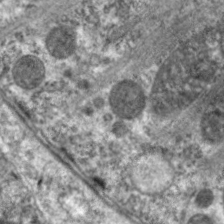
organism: C. elegans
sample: Pharynx